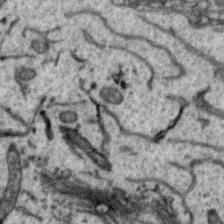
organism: Zebra finch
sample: Brain